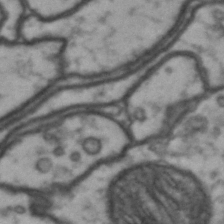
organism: Drosophila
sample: Brain